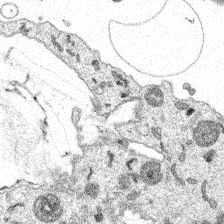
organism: Spongilla lacustris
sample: Multiple